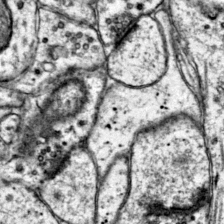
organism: Mouse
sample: Primary visual cortex